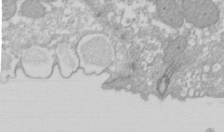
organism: Xenopus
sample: Cilia; centrioles in frog embryo cells